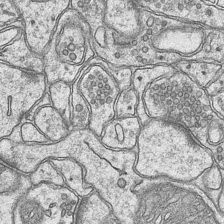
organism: Mouse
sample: CA1 Hippocampus